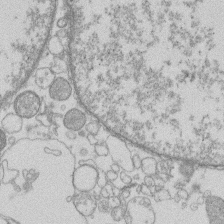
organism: Human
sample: Macrophage cells